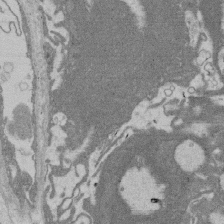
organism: Rat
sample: Salivary granule